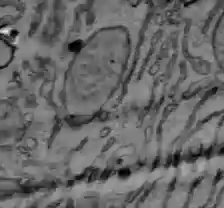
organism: C57BL Mouse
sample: Liver